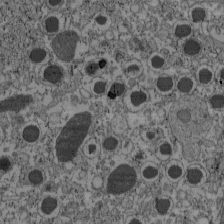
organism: C57BL Mouse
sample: Pancreatic islet